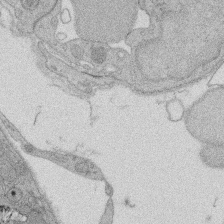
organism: Rat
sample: Salivary granule